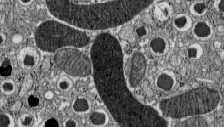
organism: C57BL Mouse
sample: Pancreatic islet